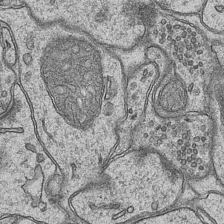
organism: Mouse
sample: CA1 Hippocampus